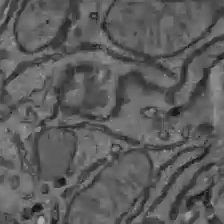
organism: C57BL Mouse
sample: Liver